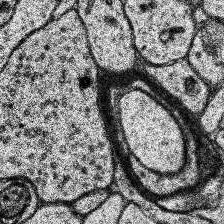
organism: Human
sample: Temporal Lobe